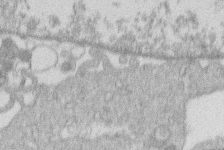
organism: Human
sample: Macrophage cells